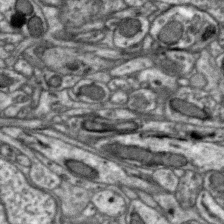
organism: Zebra finch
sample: Brain